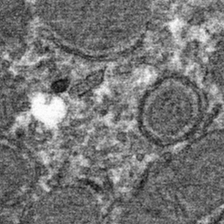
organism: Mouse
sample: Mouse hepatocytes